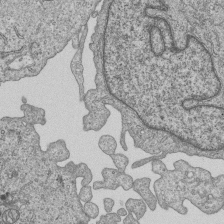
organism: Human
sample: MDA-MB-231 cells